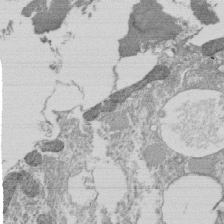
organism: Tetrahymena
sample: Cilia in tetrahymena